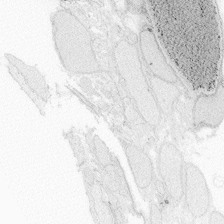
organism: Zebrafish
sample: Whole-Brain